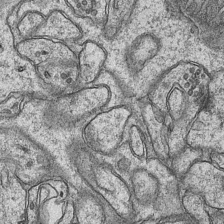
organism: Mouse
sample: CA1 Hippocampus